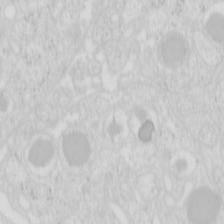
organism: Mouse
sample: Pancreas